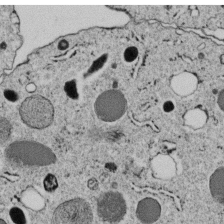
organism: C. elegans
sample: C. elegans embryo early stage